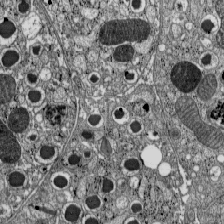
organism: C57BL Mouse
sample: Pancreatic islet